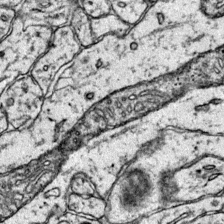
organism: Mouse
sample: Primary visual cortex